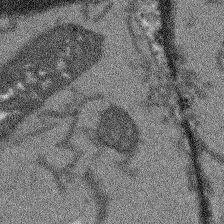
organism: Arabidopsis thaliana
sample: Root tip